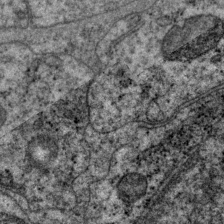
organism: P. pacificus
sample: Pharynx